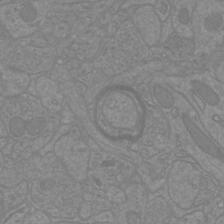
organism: Mouse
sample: Cortical neurons